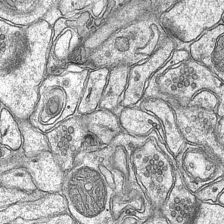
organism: Mouse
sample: CA1 Hippocampus